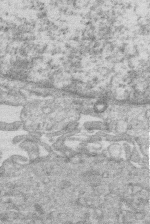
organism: Human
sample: Macrophage cells